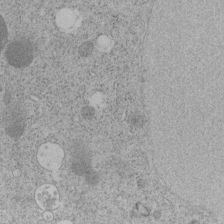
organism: C. elegans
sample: C. elegans embryo early stage